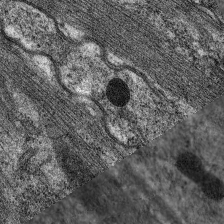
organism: C. elegans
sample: Pharynx